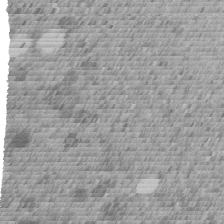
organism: C. elegans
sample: C. elegans embryo early stage